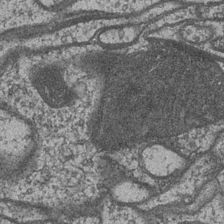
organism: Drosophila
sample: Optic medulla